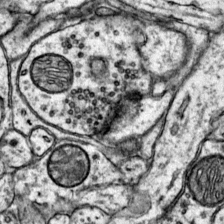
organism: Mouse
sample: Primary visual cortex